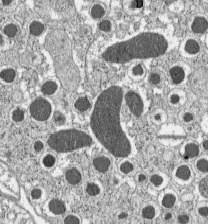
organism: C57BL Mouse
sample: Pancreatic islet